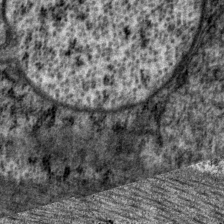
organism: P. pacificus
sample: Pharynx